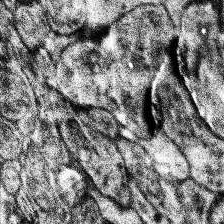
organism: Human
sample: Temporal Lobe